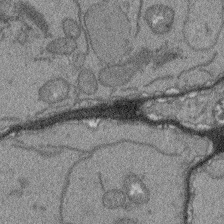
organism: Arabidopsis thaliana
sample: Root tip